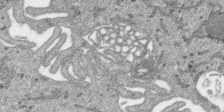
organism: Human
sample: Lung epithelial cells infected with SARS-CoV-2